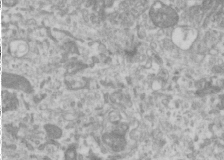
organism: Human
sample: Cilia; basal body in RPE cells